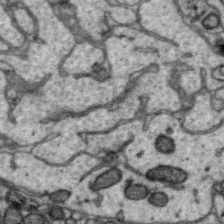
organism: Zebra finch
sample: Brain